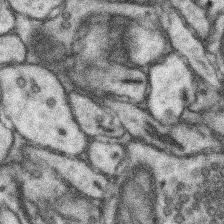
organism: Mouse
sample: Somatosensory cortex neuropil